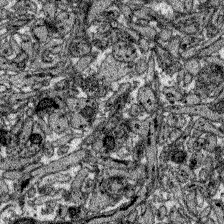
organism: Zebrafish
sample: Larval olfactory bulb